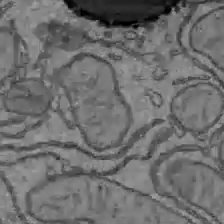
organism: C57BL Mouse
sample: Liver